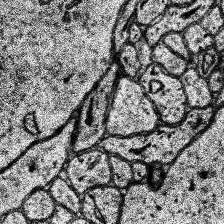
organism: Human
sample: Temporal Lobe